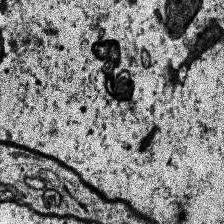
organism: Human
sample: Temporal Lobe